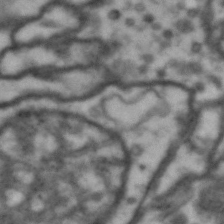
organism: Drosophila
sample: Brain